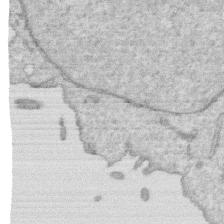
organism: Human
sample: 1205lu cells